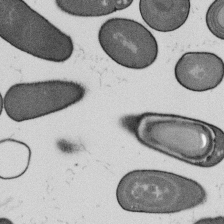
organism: B. subtilis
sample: Bacterial spore